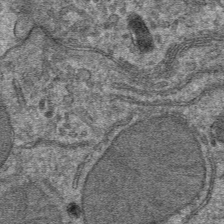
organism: Mouse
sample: Mouse hepatocytes